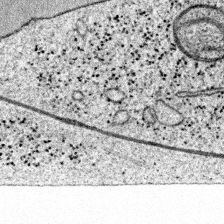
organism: Human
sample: HeLa cells